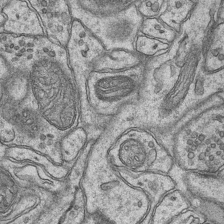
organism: Mouse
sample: CA1 Hippocampus